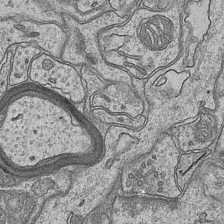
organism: Mouse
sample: CA1 Hippocampus